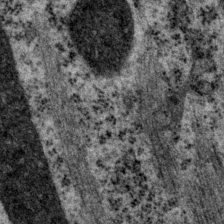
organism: P. pacificus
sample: Pharynx